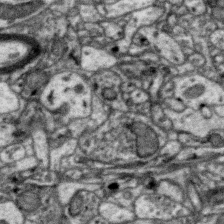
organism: Zebra finch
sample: Brain